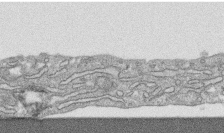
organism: Human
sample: CRL-1474